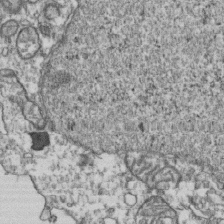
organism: Human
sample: Activated Jurkat CD4+ T cells